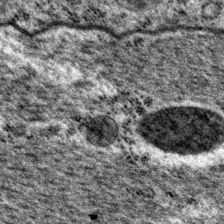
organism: P. pacificus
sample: Pharynx